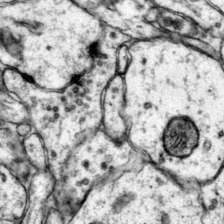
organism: Mouse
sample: Primary visual cortex